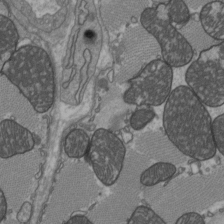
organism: C57BL Mouse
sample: Heart